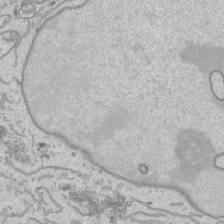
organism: Human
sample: Mitochondria in HCT116 cells